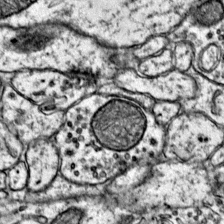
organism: Mouse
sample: Primary visual cortex